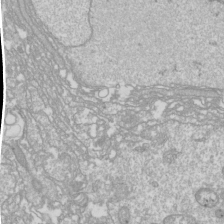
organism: Drosophila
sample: Cell division; meiosis; drosophila spermatocytes